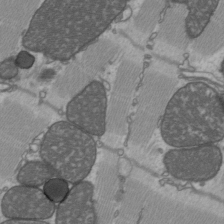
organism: C57BL Mouse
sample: Heart